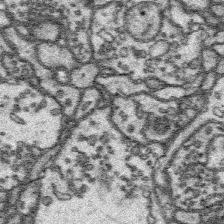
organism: Platynereis dumerilii